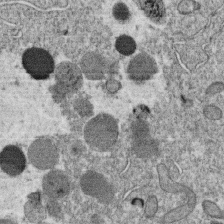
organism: C. elegans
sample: C. elegans oocyte; sperm cells